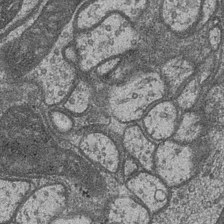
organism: Drosophila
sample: Optic medulla